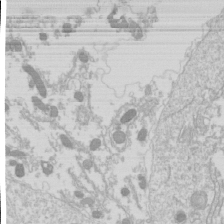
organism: Drosophila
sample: Cell division; meiosis; drosophila spermatocytes